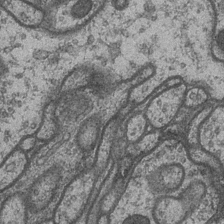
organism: Drosophila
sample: Optic medulla